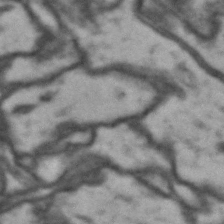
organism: Drosophila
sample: Brain